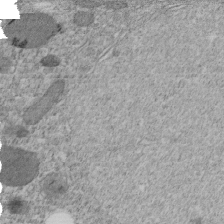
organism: C. elegans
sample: C. elegans embryo early stage